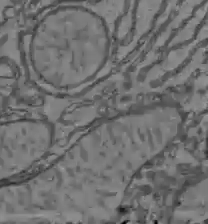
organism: C57BL Mouse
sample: Liver